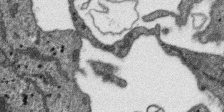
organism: Human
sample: Lung epithelial cells infected with SARS-CoV-2